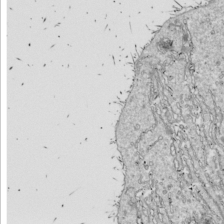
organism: Drosophila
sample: Cell division; meiosis; drosophila spermatocytes